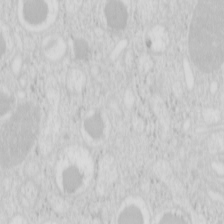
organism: Mouse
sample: Pancreas